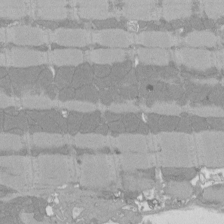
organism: Rat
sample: Left ventricle